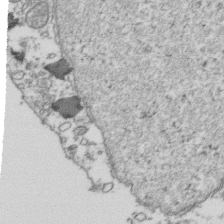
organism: Human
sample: Activated Jurkat CD4+ T cells